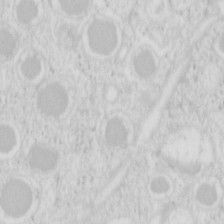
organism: Mouse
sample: Pancreas